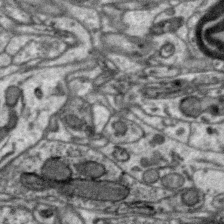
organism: Zebra finch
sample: Brain